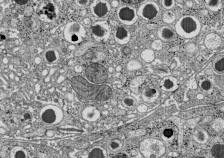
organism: C57BL Mouse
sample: Pancreatic islet